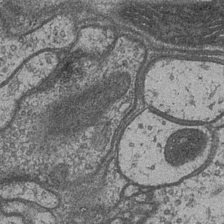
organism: Drosophila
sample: Optic medulla